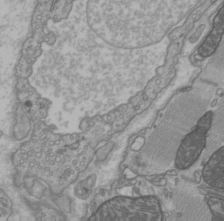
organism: C57BL Mouse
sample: Heart